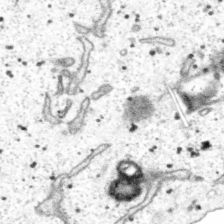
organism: Human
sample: HeLa cells